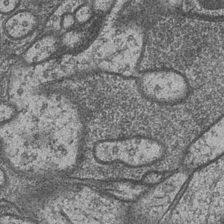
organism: Drosophila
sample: Optic medulla